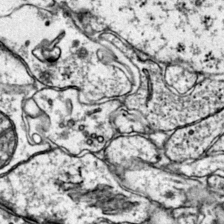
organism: Mouse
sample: Primary visual cortex